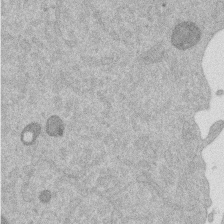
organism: Mouse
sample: Dividing mouse embryo 1 cell stage